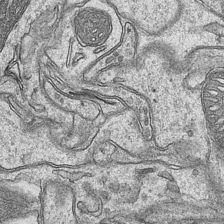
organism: Mouse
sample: CA1 Hippocampus